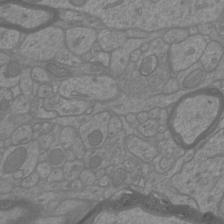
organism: Mouse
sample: Cortical neurons